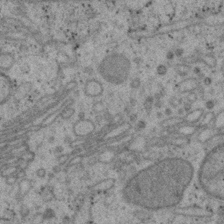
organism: Human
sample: HeLa cells